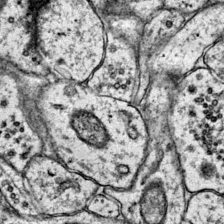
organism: Mouse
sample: Primary visual cortex